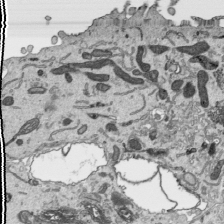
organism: Human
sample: Mitochondria in HCT116 cells